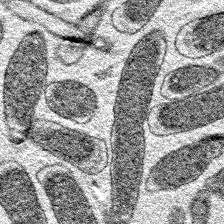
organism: E. coli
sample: E. Coli Bacteria